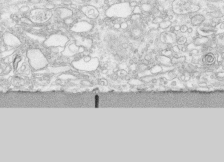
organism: Human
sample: CRL-1474